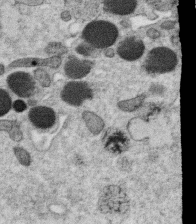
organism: C. elegans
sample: C. elegans oocyte; sperm cells